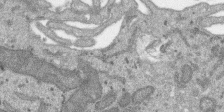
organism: Human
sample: Lung epithelial cells infected with SARS-CoV-2